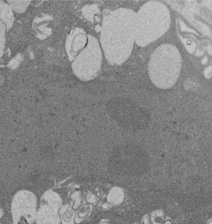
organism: Rat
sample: Salivary granule